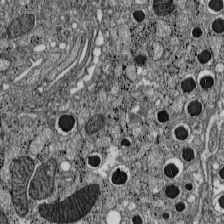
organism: C57BL Mouse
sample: Pancreatic islet